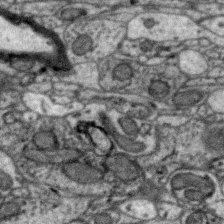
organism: Zebra finch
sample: Brain